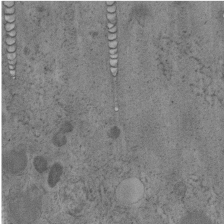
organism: C. elegans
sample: C. elegans embryo early stage